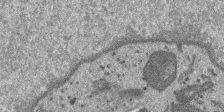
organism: Human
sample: Lung epithelial cells infected with SARS-CoV-2